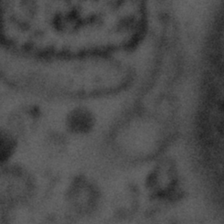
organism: Tuwongella immobilis